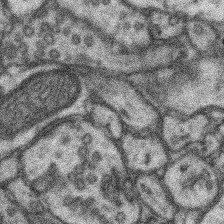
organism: Mouse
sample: Somatosensory cortex neuropil